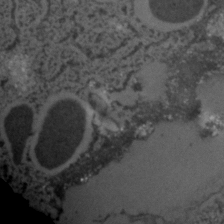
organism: C. elegans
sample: C. elegans embryo